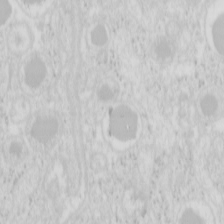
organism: Mouse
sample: Pancreas